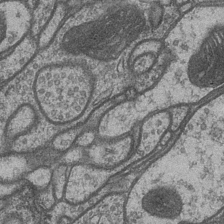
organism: Drosophila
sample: Optic medulla